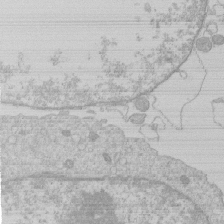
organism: Human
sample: Macrophage cells